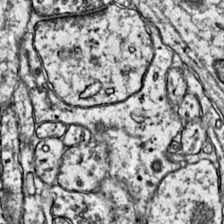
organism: Mouse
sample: Primary visual cortex